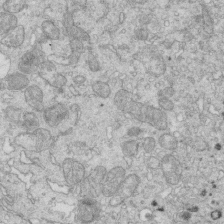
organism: Mouse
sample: Multiciliated cells